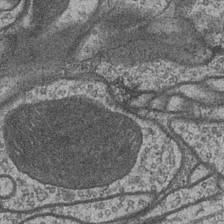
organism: Drosophila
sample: Optic medulla